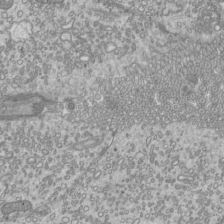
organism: Mouse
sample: Cilia; mouse epididymis